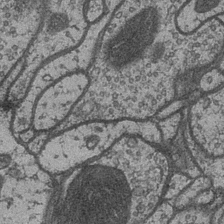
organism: Drosophila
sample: Optic medulla